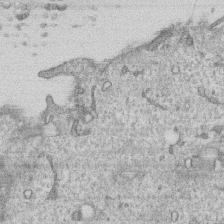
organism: Human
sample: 1205lu cells